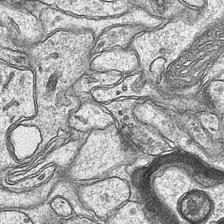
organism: Mouse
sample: CA1 Hippocampus